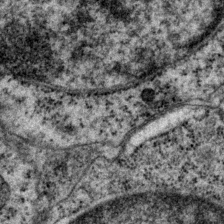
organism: P. pacificus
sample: Pharynx